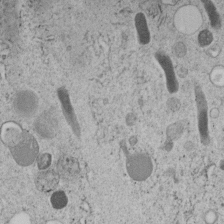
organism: C. elegans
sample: C. elegans embryo early stage